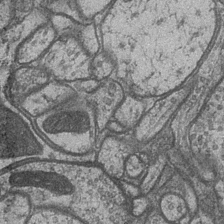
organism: Drosophila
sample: Optic medulla